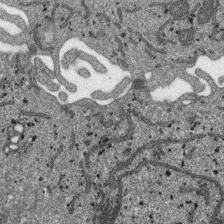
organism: Human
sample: Lung epithelial cells infected with SARS-CoV-2